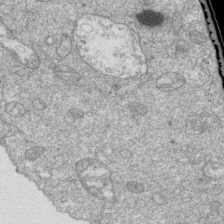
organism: Human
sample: HeLa cell HIV synapse